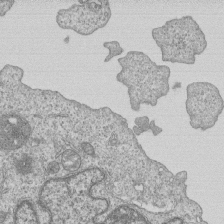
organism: Human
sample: MDA-MB-231 cells